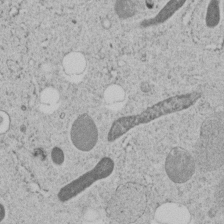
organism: C. elegans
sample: C. elegans embryo early stage